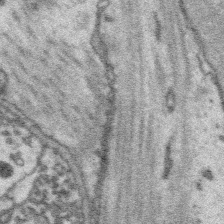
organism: Platynereis dumerilii